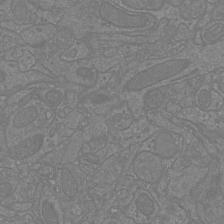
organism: Mouse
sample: Cortical neurons